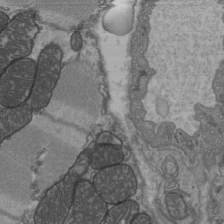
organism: C57BL Mouse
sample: Heart